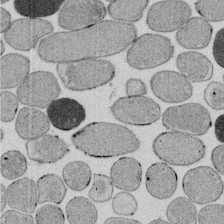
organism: E. coli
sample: Bacterial nucleoid